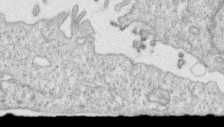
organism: Human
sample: HeLa cell HIV synapse